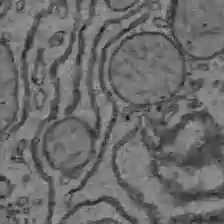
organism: C57BL Mouse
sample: Liver